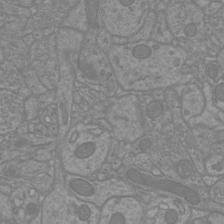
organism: Mouse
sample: Cortical neurons